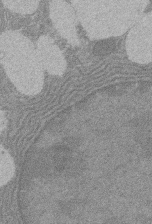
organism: Rat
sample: Salivary granule